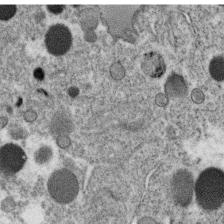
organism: C. elegans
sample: C. elegans oocyte; sperm cells